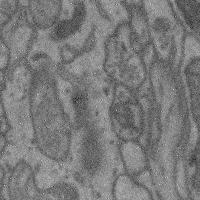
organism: Mouse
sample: Cerebral cortex